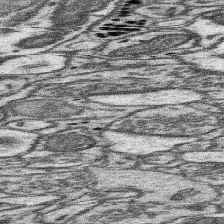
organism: Mouse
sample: Somatosensory cortex neuropil